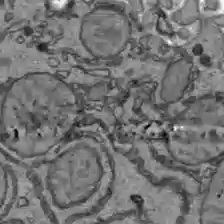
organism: C57BL Mouse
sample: Liver